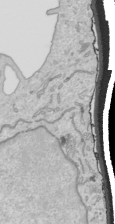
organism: Human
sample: Mitochondria in HCT116 cells